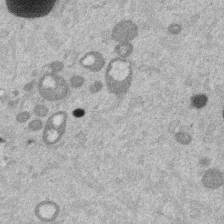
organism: Mouse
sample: Dividing mouse embryo 1 cell stage